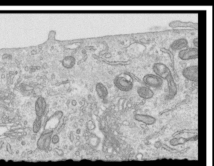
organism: Human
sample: Centriole in RPE cells